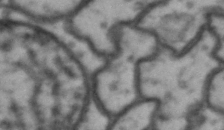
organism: Drosophila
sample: Brain